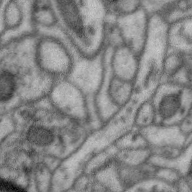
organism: Zebra finch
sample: Brain